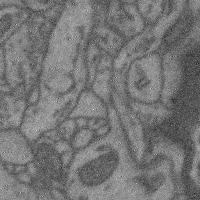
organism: Mouse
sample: Cerebral cortex